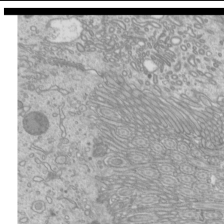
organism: Mouse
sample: Cilia; mouse epididymis